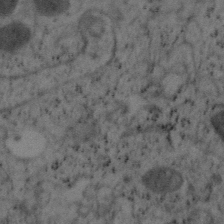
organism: Human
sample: HeLa cells